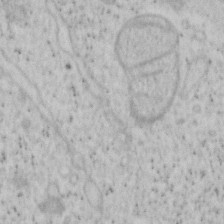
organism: Human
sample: HeLa cells